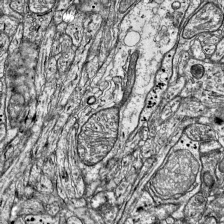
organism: Mouse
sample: Visual Cortex